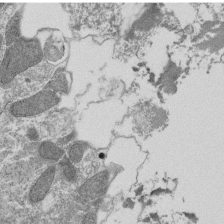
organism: Tetrahymena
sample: Cilia in tetrahymena